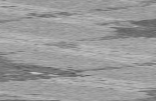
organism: C57BL Mouse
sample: Heart